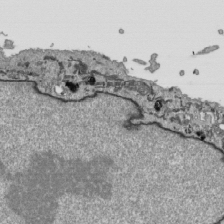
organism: Human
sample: Mitochondria in HCT116 cells